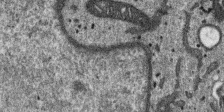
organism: Human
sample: Lung epithelial cells infected with SARS-CoV-2